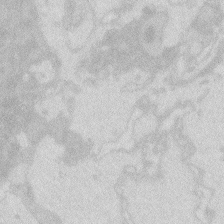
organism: Zebrafish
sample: Macrophage